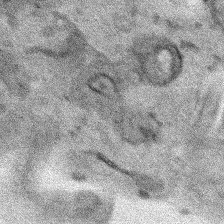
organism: Human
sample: Mitochondria in HCT116 cells